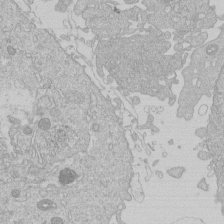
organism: Human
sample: Macrophage cells